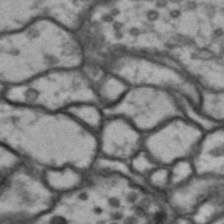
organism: Drosophila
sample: Brain